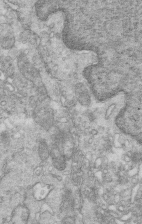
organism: Mouse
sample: Multiciliated cells